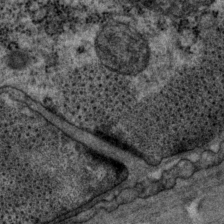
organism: P. pacificus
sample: Pharynx